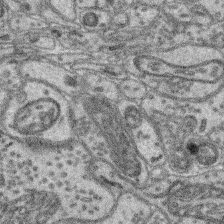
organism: Mouse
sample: Retina